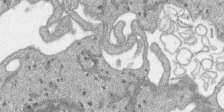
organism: Human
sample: Lung epithelial cells infected with SARS-CoV-2